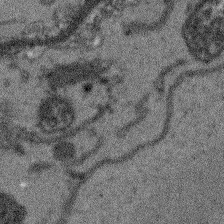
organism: Arabidopsis thaliana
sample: Root tip